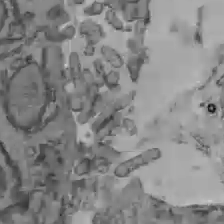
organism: C57BL Mouse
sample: Liver